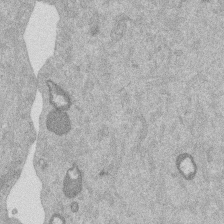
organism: Mouse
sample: Dividing mouse embryo 1 cell stage